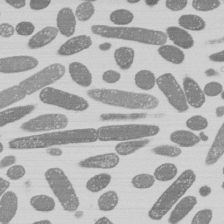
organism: E. coli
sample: Bacterial nucleoid